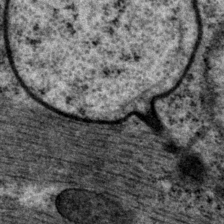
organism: P. pacificus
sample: Pharynx